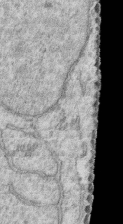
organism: Human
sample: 1205lu cells